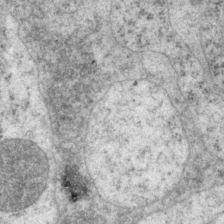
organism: P. pacificus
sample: Pharynx